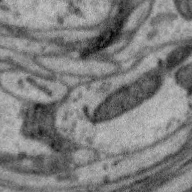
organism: Zebra finch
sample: Brain